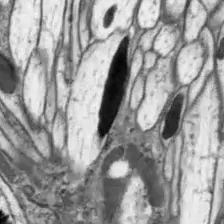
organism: Drosophila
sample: Optic lobe